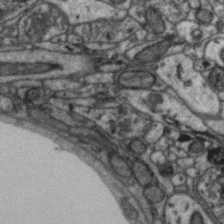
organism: Zebra finch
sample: Brain